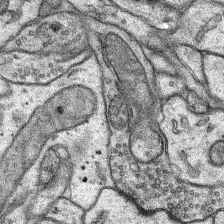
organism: Rat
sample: Hippocampus